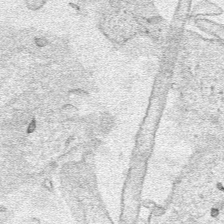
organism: Human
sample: Mitochondria in HCT116 cells